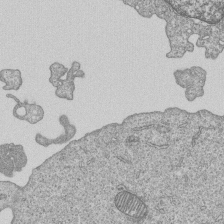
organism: Human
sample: MDA-MB-231 cells